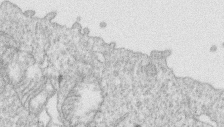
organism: Human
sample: HeLa cell HIV synapse